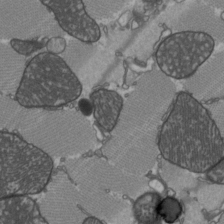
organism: C57BL Mouse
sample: Heart